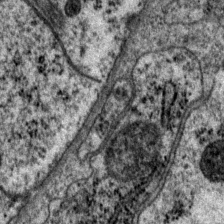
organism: P. pacificus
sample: Pharynx